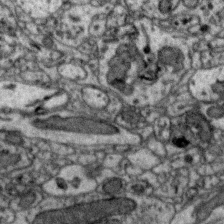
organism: Zebra finch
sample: Brain